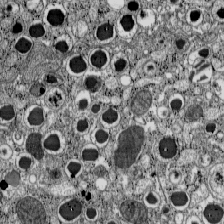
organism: C57BL Mouse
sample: Pancreatic islet